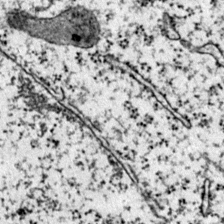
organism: Mouse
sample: Primary visual cortex